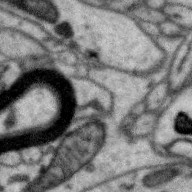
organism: Zebra finch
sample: Brain